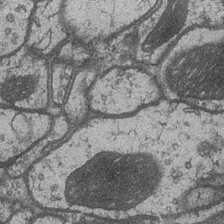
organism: Drosophila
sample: Optic medulla